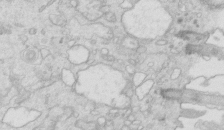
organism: Mouse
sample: Multiciliated cells